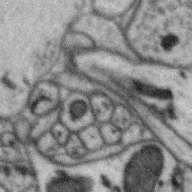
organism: Zebra finch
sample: Brain